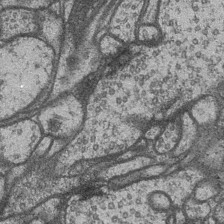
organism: Drosophila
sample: Optic medulla